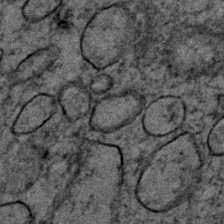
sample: Trachea